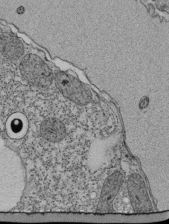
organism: Tetrahymena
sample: Cilia in tetrahymena